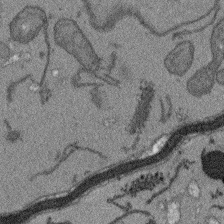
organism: Arabidopsis thaliana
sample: Root tip